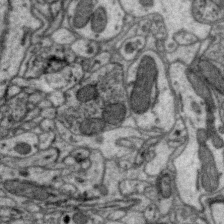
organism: Zebra finch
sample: Brain